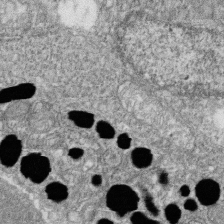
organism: Zebrafish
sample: Cilia; retinal pigment epithelium